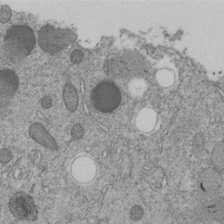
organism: C. elegans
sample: C. elegans embryo early stage